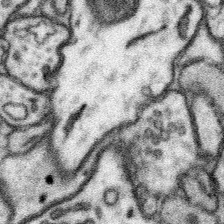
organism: Mouse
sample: Somatosensory cortex neuropil